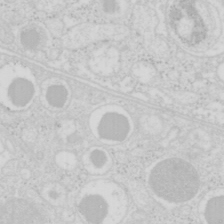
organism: Mouse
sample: Pancreas